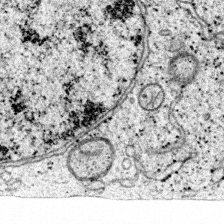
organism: Human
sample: HeLa cells